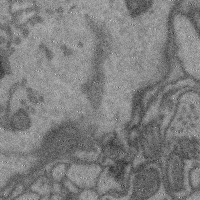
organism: Mouse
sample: Cerebral cortex